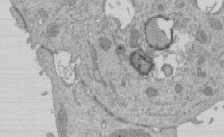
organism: Mouse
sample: ED-1 cell nuclei; centrioles